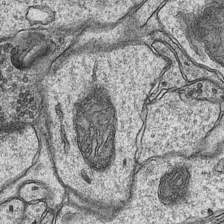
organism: Mouse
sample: CA1 Hippocampus